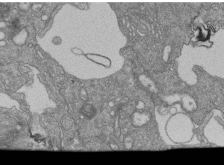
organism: Human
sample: Retinal organoid Rod and Cone cells